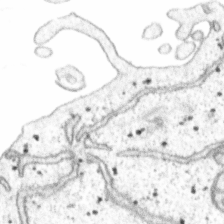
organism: Human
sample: HeLa cells